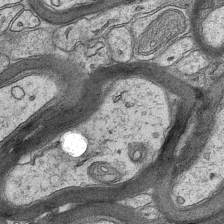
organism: Mouse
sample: CA1 Hippocampus